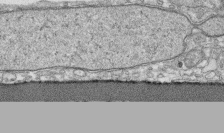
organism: Human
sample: CRL-1474